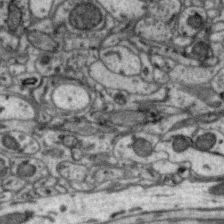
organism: Zebra finch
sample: Brain